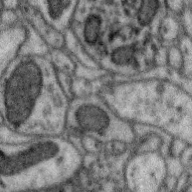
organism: Zebra finch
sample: Brain